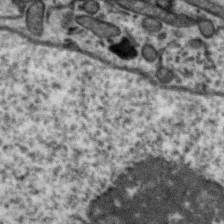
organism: Zebra finch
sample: Brain